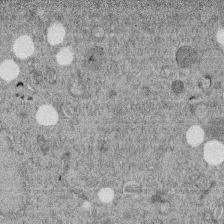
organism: C. elegans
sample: C. elegans embryo early stage